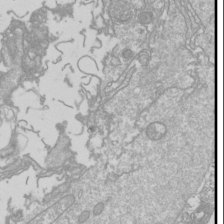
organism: Drosophila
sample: Cell division; meiosis; drosophila spermatocytes